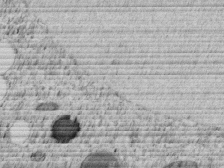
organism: C. elegans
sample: C. elegans embryo early stage